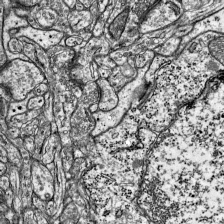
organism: Mouse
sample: Visual Cortex